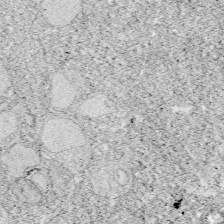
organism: Zebrafish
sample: Whole-Brain